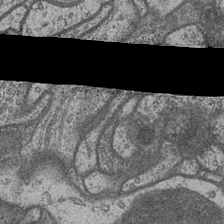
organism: Drosophila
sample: Optic medulla